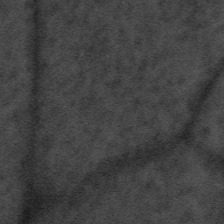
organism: Tuwongella immobilis